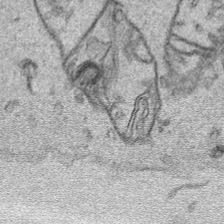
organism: Human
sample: Mitochondria in HCT116 cells